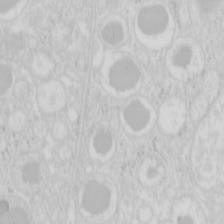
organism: Mouse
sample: Pancreas